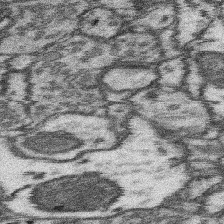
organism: Mouse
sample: Somatosensory cortex neuropil